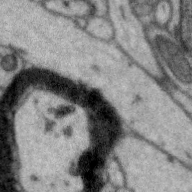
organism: Zebra finch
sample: Brain